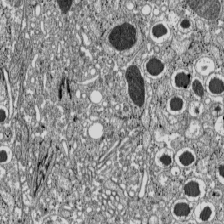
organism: C57BL Mouse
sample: Pancreatic islet